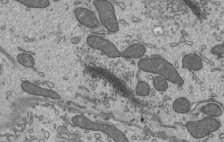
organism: Mouse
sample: Mouse epididymis efferent ductule cilia